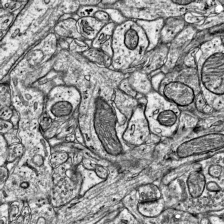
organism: Mouse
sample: Visual Cortex